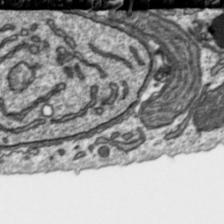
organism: Toxoplasma gondii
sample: Parasites in a vacuole inside a host cell